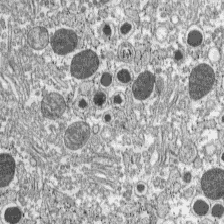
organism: C57BL Mouse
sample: Pancreatic islet